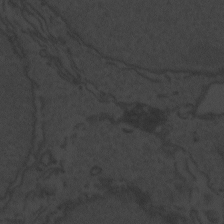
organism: Zebrafish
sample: Macrophage infected with Toxoplasma gondii